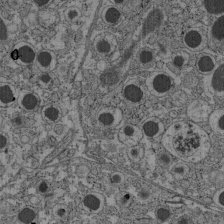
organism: C57BL Mouse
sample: Pancreatic islet